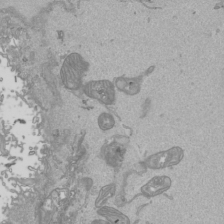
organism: Human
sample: Mitochondria in HCT116 cells